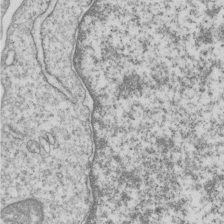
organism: Human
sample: MDA-MB-231 cells